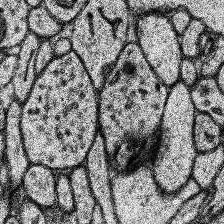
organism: Human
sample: Temporal Lobe